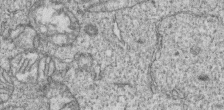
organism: Human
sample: HeLa cell HIV synapse